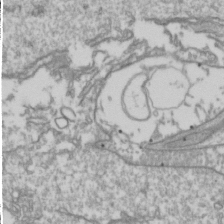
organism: Drosophila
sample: Cell division; meiosis; drosophila spermatocytes